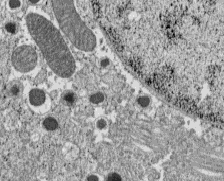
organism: C57BL Mouse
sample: Pancreatic islet